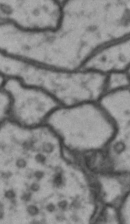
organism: Drosophila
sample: Brain